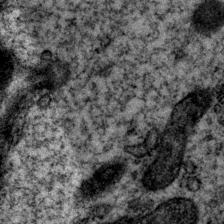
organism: P. pacificus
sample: Pharynx